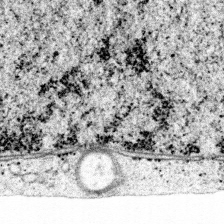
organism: Human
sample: HeLa cells